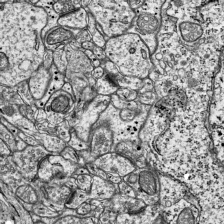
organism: Mouse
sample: Visual Cortex